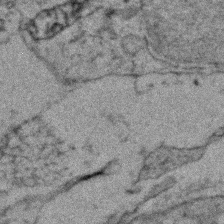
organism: Zebrafish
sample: Zebrafish embryo